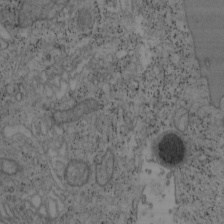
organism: Mouse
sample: OT-I killer T cells with ID8 ovarian cancer cells